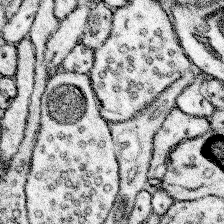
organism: Mouse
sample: Somatosensory cortex neuropil